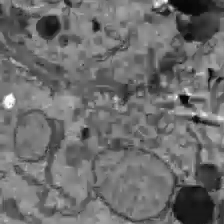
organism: C57BL Mouse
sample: Liver